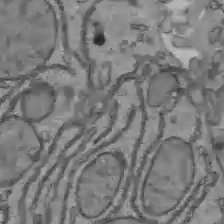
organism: C57BL Mouse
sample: Liver